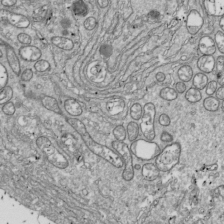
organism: Drosophila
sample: Cell division; meiosis; drosophila spermatocytes